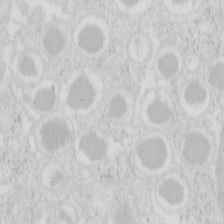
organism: Mouse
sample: Pancreas